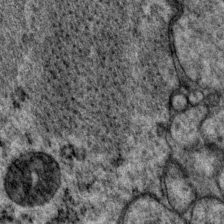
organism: P. pacificus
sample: Pharynx